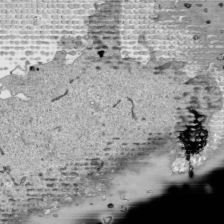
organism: Human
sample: Mitochondria in HCT116 cells